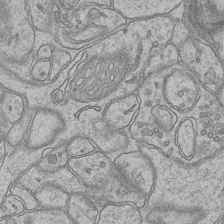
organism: Mouse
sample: CA1 Hippocampus